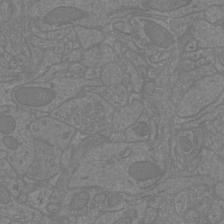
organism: Mouse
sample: Cortical neurons